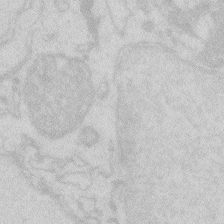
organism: Zebrafish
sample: Macrophage